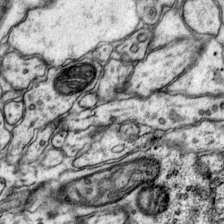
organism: Mouse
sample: Primary visual cortex